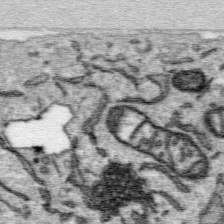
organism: Human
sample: HeLa cells